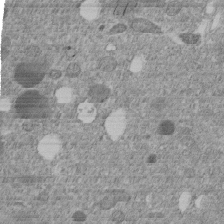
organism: C. elegans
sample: C. elegans embryo early stage